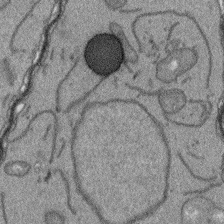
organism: Arabidopsis thaliana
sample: Root tip